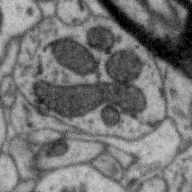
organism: Zebra finch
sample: Brain